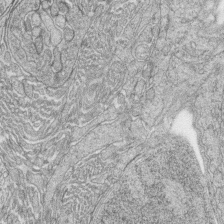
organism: Zebrafish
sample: synaptic ribbons in rod cells and cone cells